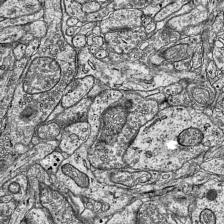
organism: Mouse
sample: Visual Cortex